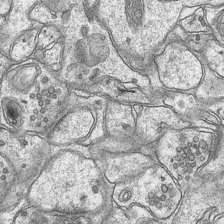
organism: Mouse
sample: CA1 Hippocampus